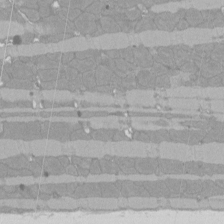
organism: Rat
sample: Left ventricle